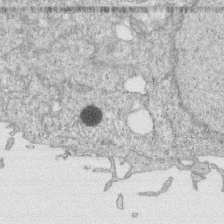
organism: Human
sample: HeLa cell HIV synapse